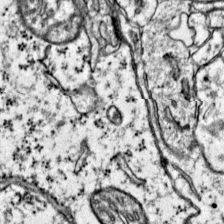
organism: Mouse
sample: Primary visual cortex